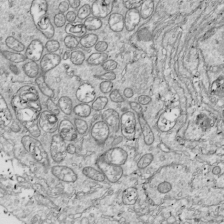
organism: Drosophila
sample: Cell division; meiosis; drosophila spermatocytes